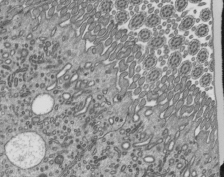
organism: Mouse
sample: Mouse epididymis efferent ductule cilia